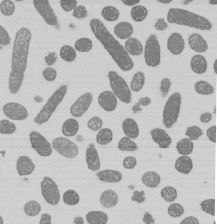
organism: E. coli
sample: Bacterial nucleoid